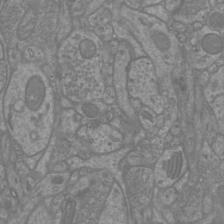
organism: Mouse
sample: Cortical neurons